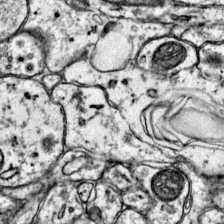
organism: Mouse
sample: Primary visual cortex